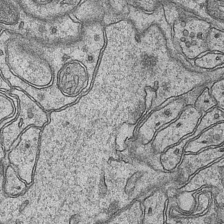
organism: Mouse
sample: CA1 Hippocampus